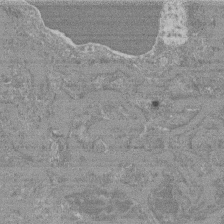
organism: Mouse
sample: Glomerulus